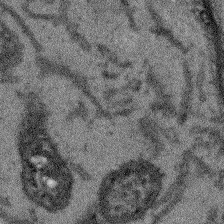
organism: Arabidopsis thaliana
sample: Root tip